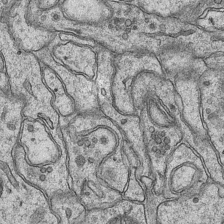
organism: Mouse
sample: CA1 Hippocampus